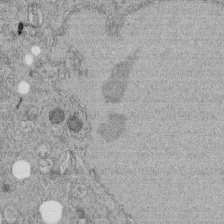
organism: C. elegans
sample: C. elegans embryo early stage